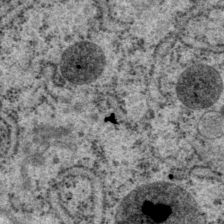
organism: P. pacificus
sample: Pharynx